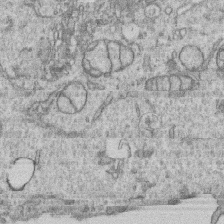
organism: Human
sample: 1205lu cells